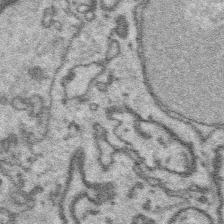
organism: Platynereis dumerilii